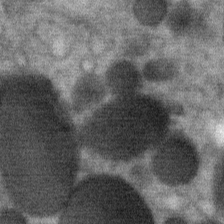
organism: Mouse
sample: Mouse Salivary gland